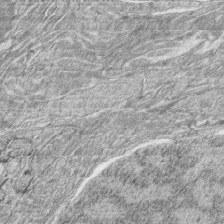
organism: Zebrafish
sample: synaptic ribbons in rod cells and cone cells